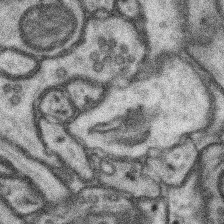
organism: Mouse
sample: Somatosensory cortex neuropil